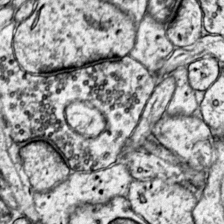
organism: Mouse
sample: Primary visual cortex